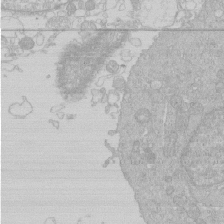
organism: Human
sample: Macrophage cells